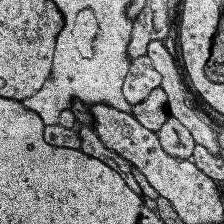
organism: Human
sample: Temporal Lobe